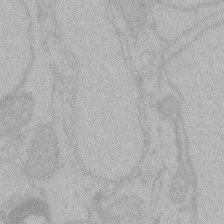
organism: Zebrafish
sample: Macrophage infected with Toxoplasma gondii